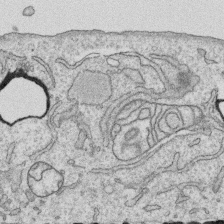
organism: Human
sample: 1205lu cells